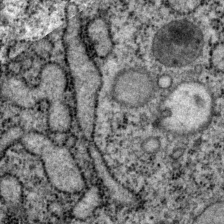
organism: P. pacificus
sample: Pharynx